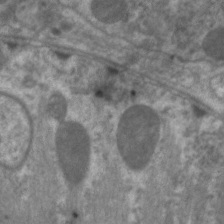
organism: C. elegans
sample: Pharynx